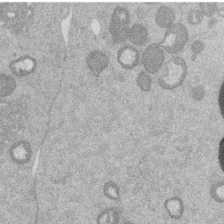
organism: Mouse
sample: Dividing mouse embryo 1 cell stage